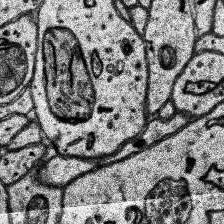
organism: Human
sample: Temporal Lobe